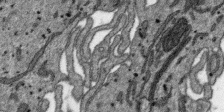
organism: Human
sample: Lung epithelial cells, uninfected (mock) control